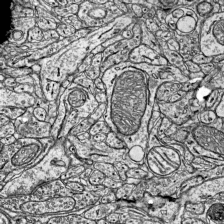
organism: Mouse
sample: Visual Cortex